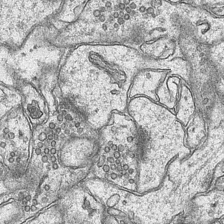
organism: Mouse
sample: CA1 Hippocampus